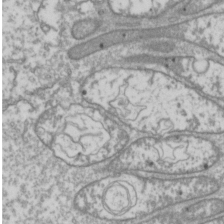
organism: Drosophila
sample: Cell division; meiosis; drosophila spermatocytes